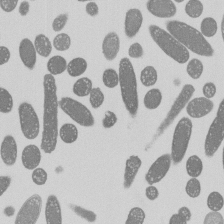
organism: E. coli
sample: Bacterial nucleoid